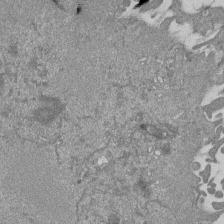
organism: Mouse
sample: ED-1 cell nuclei; centrioles